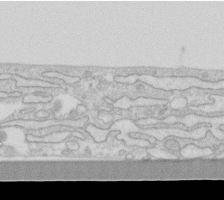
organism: Human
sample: Fibroblast cells